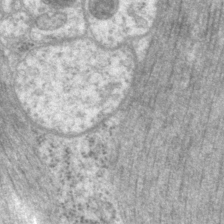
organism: P. pacificus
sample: Pharynx